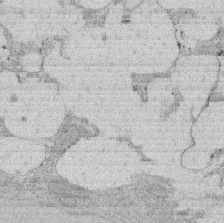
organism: Rat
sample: Salivary granule